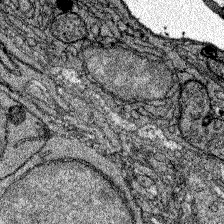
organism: Zebrafish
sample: Larval olfactory bulb